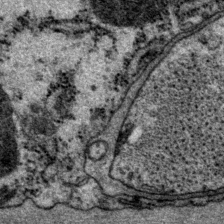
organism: P. pacificus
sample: Pharynx